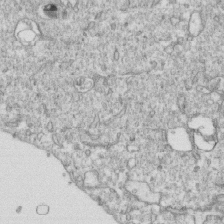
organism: Mouse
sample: Activated OT-1 CD8+ T cells